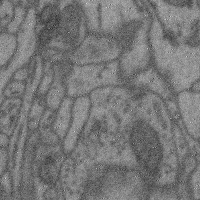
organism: Mouse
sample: Cerebral cortex